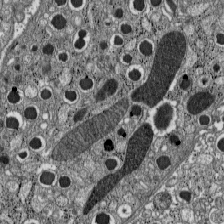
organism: C57BL Mouse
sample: Pancreatic islet